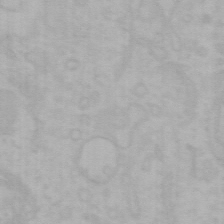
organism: Mouse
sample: Choroid plexus